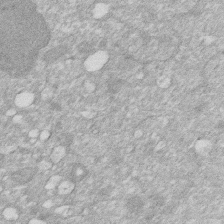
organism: Human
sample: HIV infected U937 cells